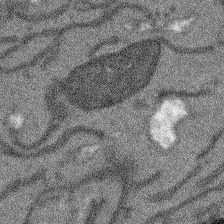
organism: Arabidopsis thaliana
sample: Root tip